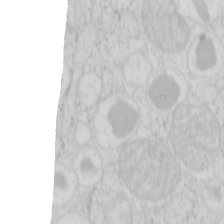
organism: Mouse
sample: Pancreas